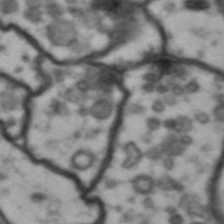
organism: Drosophila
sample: Brain